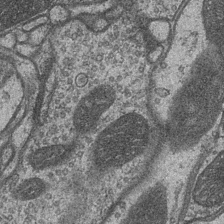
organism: Drosophila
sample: Optic medulla